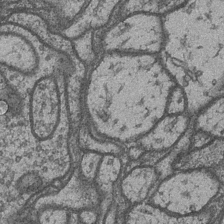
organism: Drosophila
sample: Optic medulla